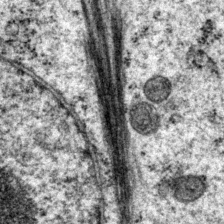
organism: P. pacificus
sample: Pharynx